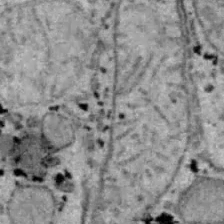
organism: Mouse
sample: Liver from an obese (ob/ob) mouse